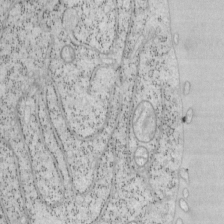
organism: Mouse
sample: OT-I killer T cells with ID8 ovarian cancer cells